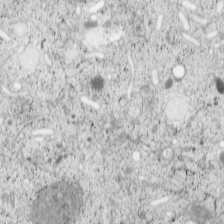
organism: African green monkey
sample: COS-7 cells